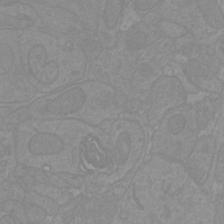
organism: Mouse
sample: Cortical neurons